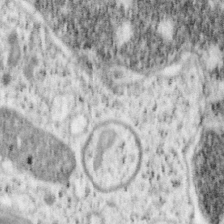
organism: Mouse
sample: OT-I killer T cells with ID8 ovarian cancer cells